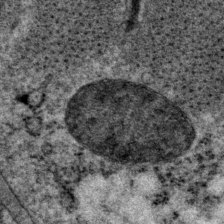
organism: P. pacificus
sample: Pharynx